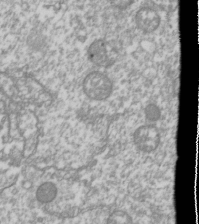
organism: Drosophila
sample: Cell division; meiosis; drosophila spermatocytes